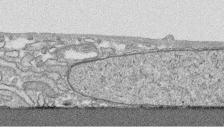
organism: Human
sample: CRL-1474